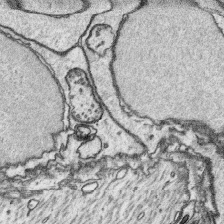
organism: Platynereis dumerilii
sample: Parapodia